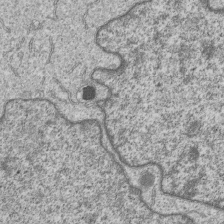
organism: Human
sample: MDA-MB-231 cells